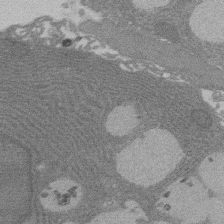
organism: Rat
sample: Salivary granule